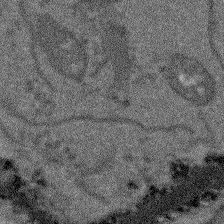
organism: Arabidopsis thaliana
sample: Root tip